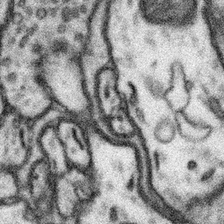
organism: Mouse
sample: Somatosensory cortex neuropil